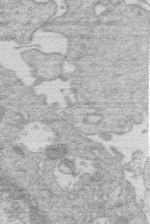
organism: Human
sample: Macrophage cells